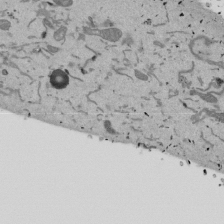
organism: Mouse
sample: ED-1 cell nuclei; centrioles